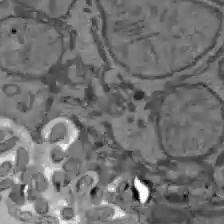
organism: C57BL Mouse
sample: Liver